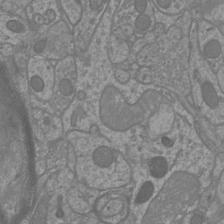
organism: Mouse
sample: Cortical neurons